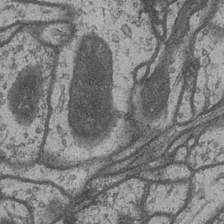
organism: Drosophila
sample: Optic medulla